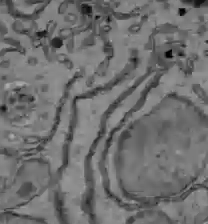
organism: C57BL Mouse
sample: Liver